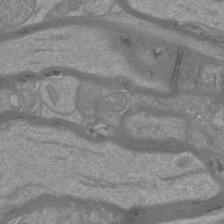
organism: Mouse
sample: Cortical neurons